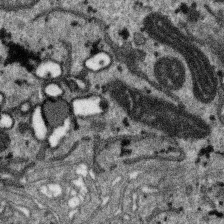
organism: Human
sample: Lung epithelial cells infected with SARS-CoV-2